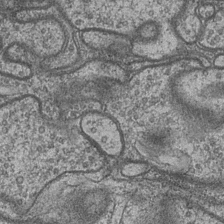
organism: Drosophila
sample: Optic medulla